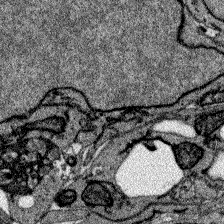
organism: Zebrafish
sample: Larval olfactory bulb